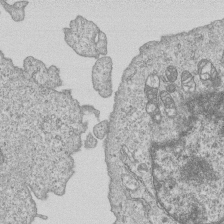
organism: Human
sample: MDA-MB-231 cells